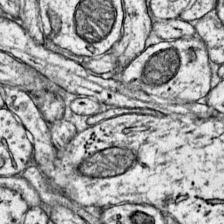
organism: Mouse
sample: Primary visual cortex